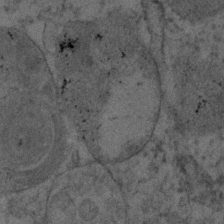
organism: Human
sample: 1205lu cells